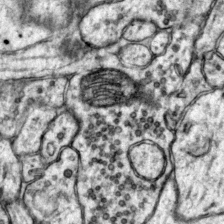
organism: Mouse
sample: Primary visual cortex